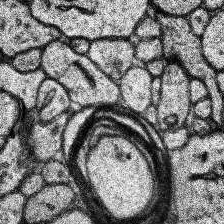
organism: Human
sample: Temporal Lobe